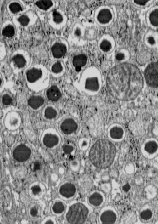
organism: C57BL Mouse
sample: Pancreatic islet